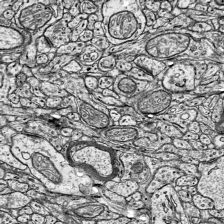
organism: Mouse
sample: Visual Cortex